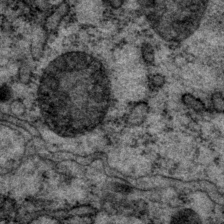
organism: P. pacificus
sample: Pharynx